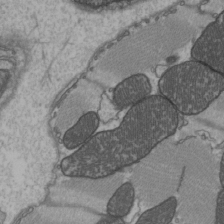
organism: C57BL Mouse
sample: Heart